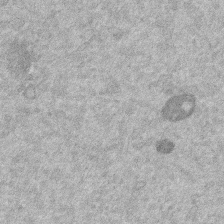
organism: Mouse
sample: Dividing mouse embryo 1 cell stage